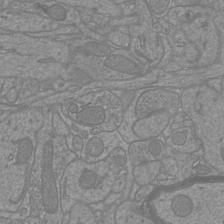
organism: Mouse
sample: Cortical neurons